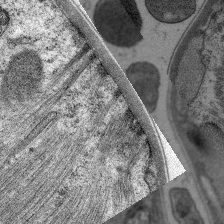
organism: C. elegans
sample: Pharynx